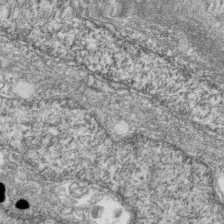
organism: Zebrafish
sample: Cilia; retinal pigment epithelium